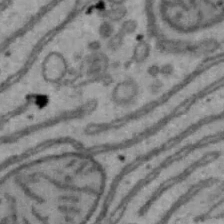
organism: Mouse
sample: Liver